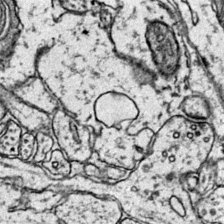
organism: Mouse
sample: Primary visual cortex